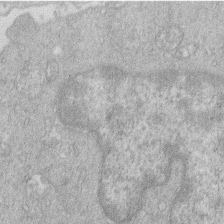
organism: Human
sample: Macrophage cells